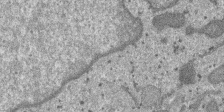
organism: Human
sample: Lung epithelial cells infected with SARS-CoV-2